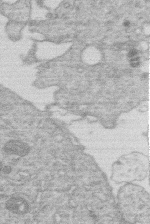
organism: Human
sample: Macrophage cells